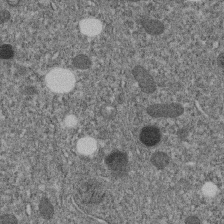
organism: C. elegans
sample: C. elegans embryo early stage